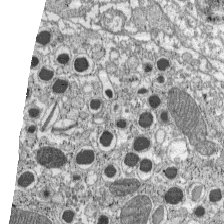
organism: C57BL Mouse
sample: Pancreatic islet